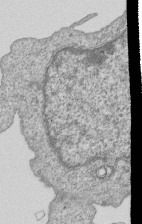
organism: Human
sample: MDA-MB-231 cells